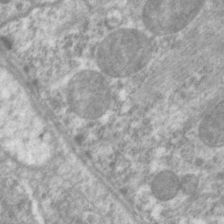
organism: C. elegans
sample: Pharynx